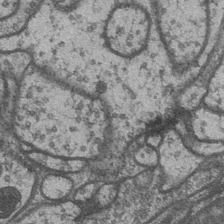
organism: Drosophila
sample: Optic medulla